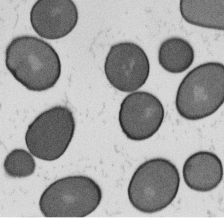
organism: B. subtilis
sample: Bacterial spore